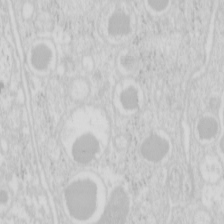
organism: Mouse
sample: Pancreas